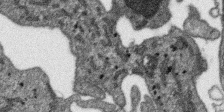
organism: Human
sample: Lung epithelial cells infected with SARS-CoV-2